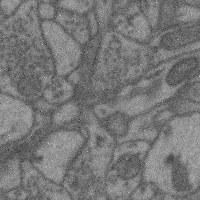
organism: Mouse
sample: Cerebral cortex